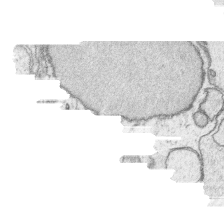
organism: Platynereis dumerilii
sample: Parapodia